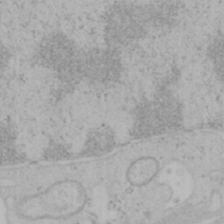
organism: Mouse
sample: OT-I killer T cells with ID8 ovarian cancer cells